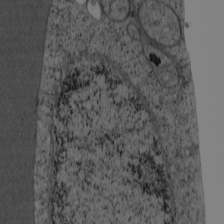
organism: African green monkey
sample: COS-7 cells